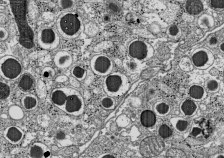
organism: C57BL Mouse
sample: Pancreatic islet